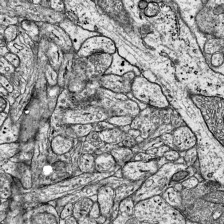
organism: Mouse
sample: Visual Cortex